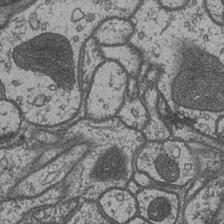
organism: Drosophila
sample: Optic medulla